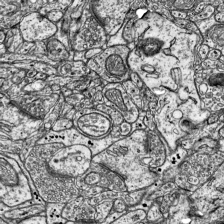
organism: Mouse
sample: Visual Cortex